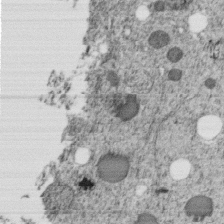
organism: C. elegans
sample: C. elegans embryo early stage